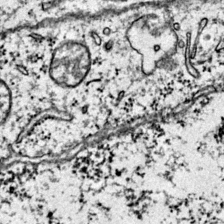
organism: Mouse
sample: Primary visual cortex